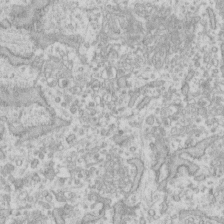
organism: Human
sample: Fibroblast cells